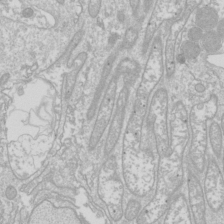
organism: Drosophila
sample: Cell division; meiosis; drosophila spermatocytes